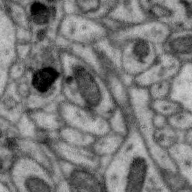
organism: Zebra finch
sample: Brain